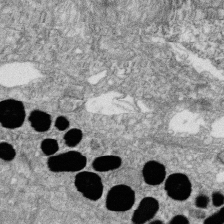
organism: Zebrafish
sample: Cilia; retinal pigment epithelium